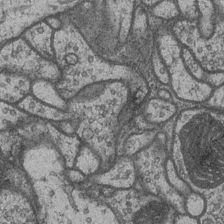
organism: Drosophila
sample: Optic medulla